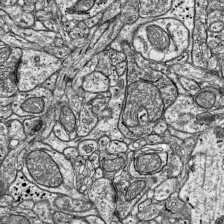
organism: Mouse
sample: Visual Cortex